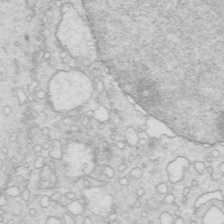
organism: Mouse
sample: Multiciliated cells